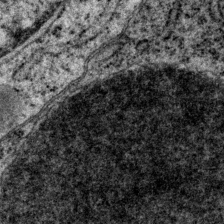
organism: P. pacificus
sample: Pharynx